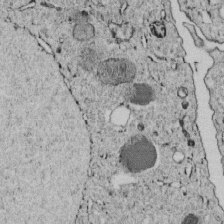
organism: C. elegans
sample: C. elegans embryo early stage